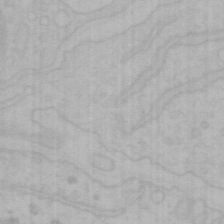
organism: Mouse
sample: Choroid plexus